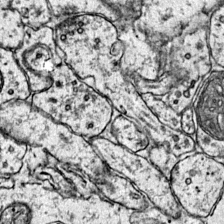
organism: Mouse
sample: Primary visual cortex